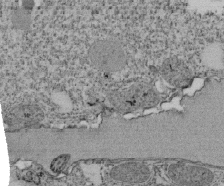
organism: Tetrahymena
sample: Cilia in tetrahymena